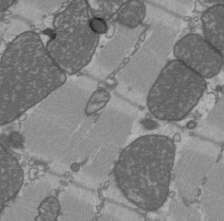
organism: C57BL Mouse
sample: Heart